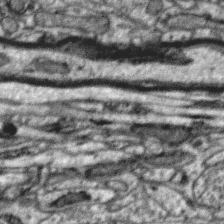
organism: Zebra finch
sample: Brain